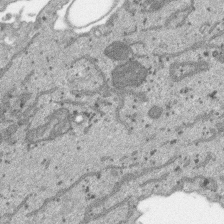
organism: Human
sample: Lung epithelial cells infected with SARS-CoV-2